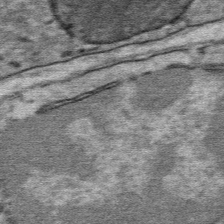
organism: Mouse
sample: Mouse Salivary gland